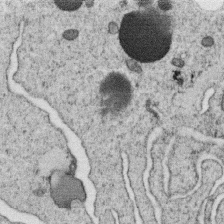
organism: C. elegans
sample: C. elegans oocyte; sperm cells